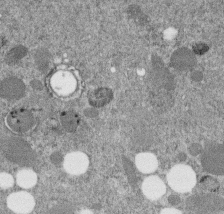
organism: C. elegans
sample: C. elegans embryo early stage